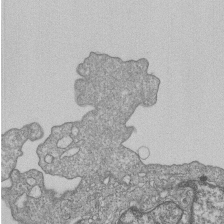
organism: Human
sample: MDA-MB-231 cells